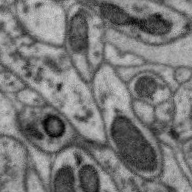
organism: Zebra finch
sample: Brain